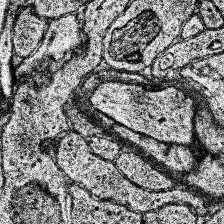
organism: Human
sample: Temporal Lobe